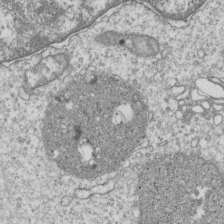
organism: Human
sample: MDA-MB-231 cells